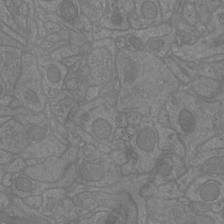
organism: Mouse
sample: Cortical neurons